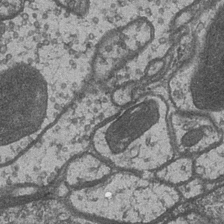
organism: Drosophila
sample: Optic medulla